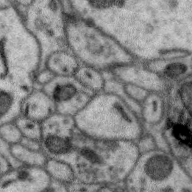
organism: Zebra finch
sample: Brain